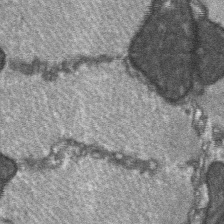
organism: C57BL Mouse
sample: Soleus